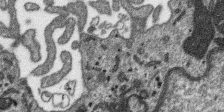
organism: Human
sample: Lung epithelial cells infected with SARS-CoV-2